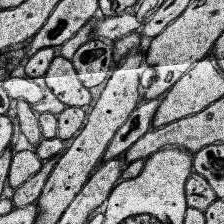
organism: Human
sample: Temporal Lobe